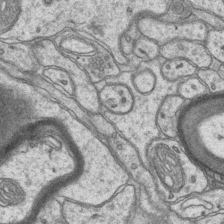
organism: Mouse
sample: CA1 Hippocampus